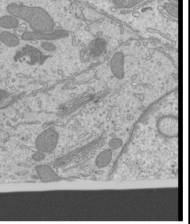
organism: Mouse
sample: Cilia; mouse epididymis